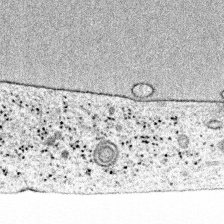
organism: Human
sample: HeLa cells